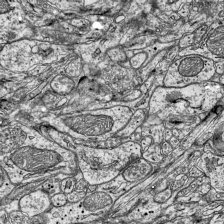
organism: Mouse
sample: Visual Cortex